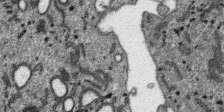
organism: Human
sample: Lung epithelial cells infected with SARS-CoV-2